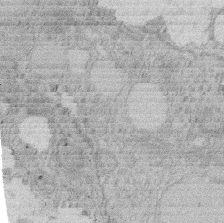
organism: Rat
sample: Salivary granule